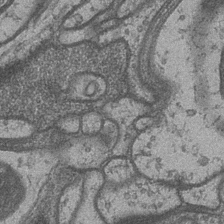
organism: Drosophila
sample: Optic medulla